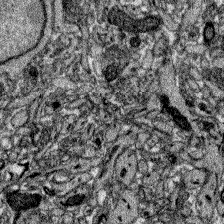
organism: Zebrafish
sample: Larval olfactory bulb